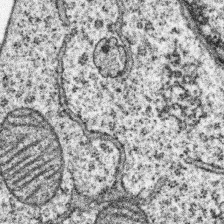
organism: Human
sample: HeLa cells